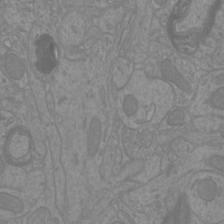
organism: Mouse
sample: Cortical neurons